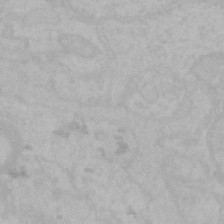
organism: Mouse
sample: Choroid plexus